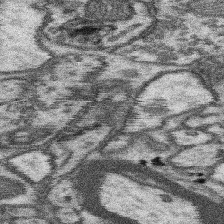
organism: Mouse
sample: Somatosensory cortex neuropil